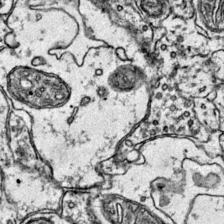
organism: Mouse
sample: Primary visual cortex